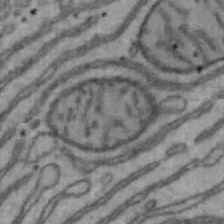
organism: Mouse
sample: Liver